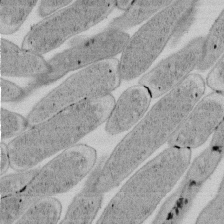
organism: E. coli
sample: Bacterial nucleoid